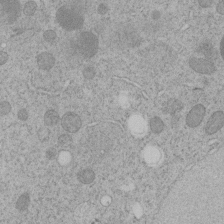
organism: C. elegans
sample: C. elegans embryo early stage